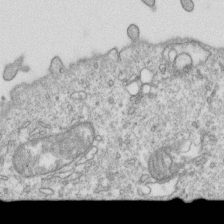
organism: Mouse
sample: Activated OT-1 CD8+ T cells